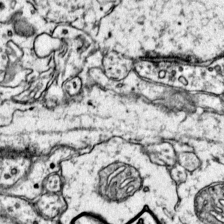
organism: Mouse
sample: Primary visual cortex